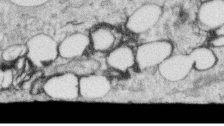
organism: Human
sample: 1205lu cells